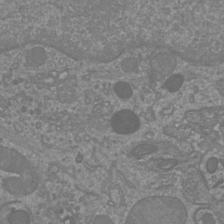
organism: Mouse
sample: Cortical neurons